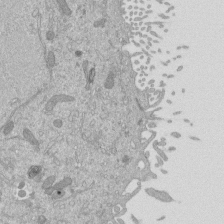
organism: Mouse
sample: ED-1 cell nuclei; centrioles